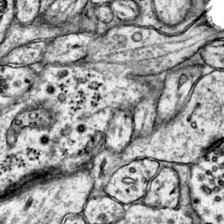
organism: Mouse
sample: Primary visual cortex